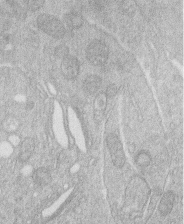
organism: Human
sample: Macrophage cells